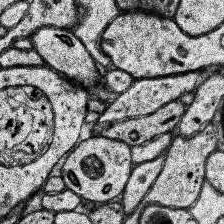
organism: Human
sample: Temporal Lobe